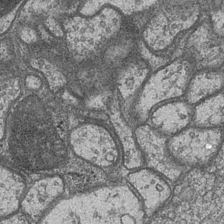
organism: Drosophila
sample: Optic medulla